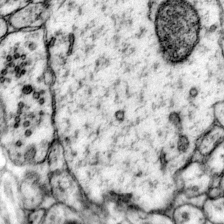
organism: Mouse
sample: Primary visual cortex